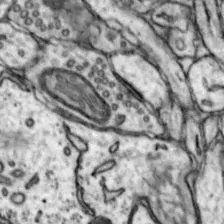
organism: Mouse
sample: Nucleus accumbens